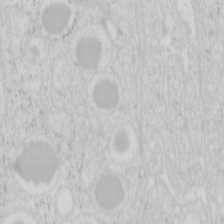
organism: Mouse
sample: Pancreas